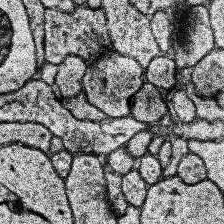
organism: Human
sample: Temporal Lobe